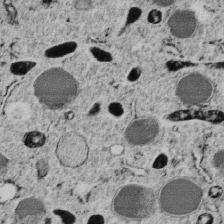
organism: C. elegans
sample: C. elegans embryo early stage